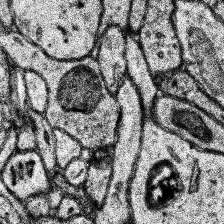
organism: Human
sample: Temporal Lobe